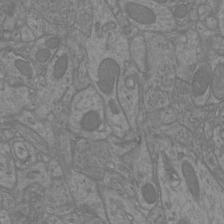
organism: Mouse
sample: Cortical neurons